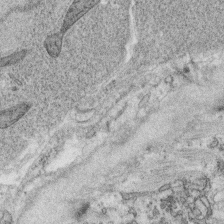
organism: C. elegans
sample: C. elegans oocyte; sperm cells